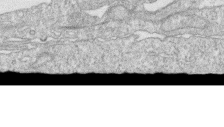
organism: Human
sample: HeLa cell HIV synapse